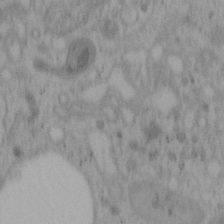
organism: Mouse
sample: OT-I killer T cells with ID8 ovarian cancer cells